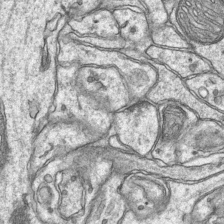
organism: Mouse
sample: CA1 Hippocampus